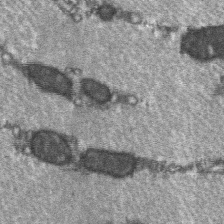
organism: C57BL Mouse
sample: Soleus